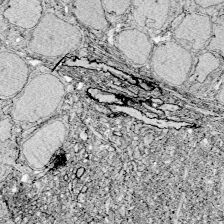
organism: Zebrafish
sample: Whole-Brain